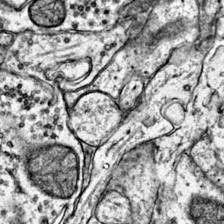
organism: Mouse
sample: Primary visual cortex